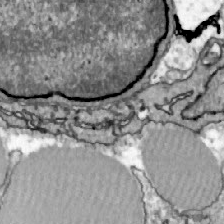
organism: Zebrafish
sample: Actinotrichia fibers